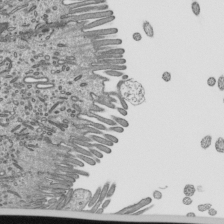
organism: Mouse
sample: Mouse epididymis efferent ductule cilia